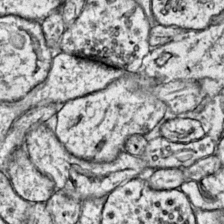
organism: Mouse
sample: Primary visual cortex